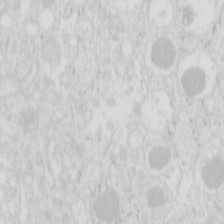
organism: Mouse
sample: Pancreas